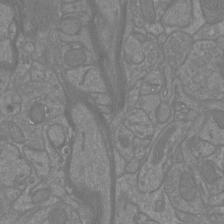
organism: Mouse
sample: Cortical neurons